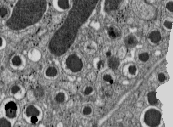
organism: C57BL Mouse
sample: Pancreatic islet